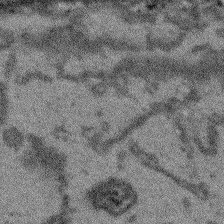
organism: Arabidopsis thaliana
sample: Root tip